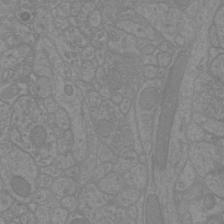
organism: Mouse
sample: Cortical neurons